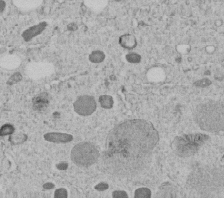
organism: C. elegans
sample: C. elegans embryo early stage